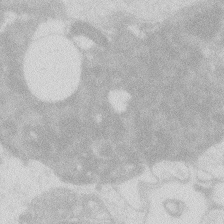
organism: Zebrafish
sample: Macrophage